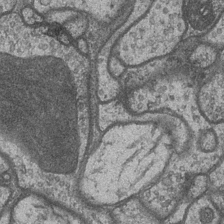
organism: Drosophila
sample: Optic medulla